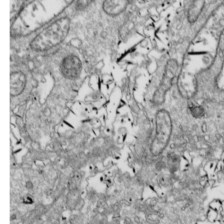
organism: Drosophila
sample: Cell division; meiosis; drosophila spermatocytes